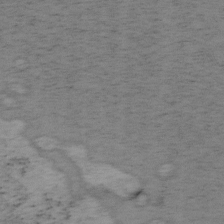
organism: Mouse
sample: OT-I killer T cells with ID8 ovarian cancer cells